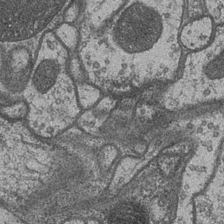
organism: Drosophila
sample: Optic medulla